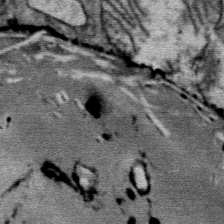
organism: Mouse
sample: Mouse Salivary gland